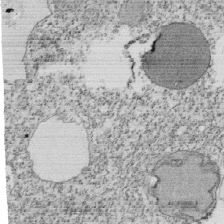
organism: Tetrahymena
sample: Cilia in tetrahymena